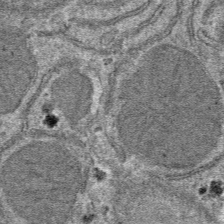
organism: Mouse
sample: Mouse hepatocytes